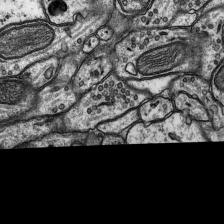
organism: Rat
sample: Hippocampus